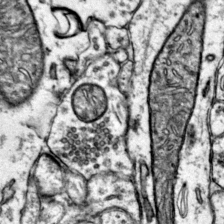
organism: Mouse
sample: Primary visual cortex